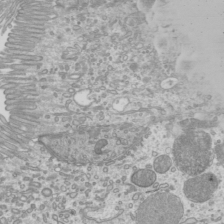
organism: Mouse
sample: Cilia; mouse epididymis